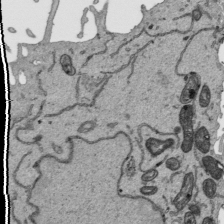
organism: Human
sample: Mitochondria in HCT116 cells